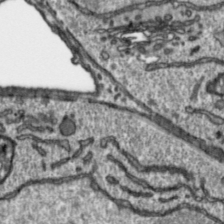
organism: Toxoplasma gondii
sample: Parasites in a vacuole inside a host cell